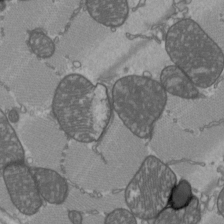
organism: C57BL Mouse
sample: Heart